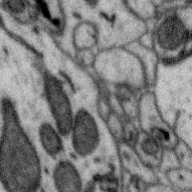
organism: Zebra finch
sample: Brain